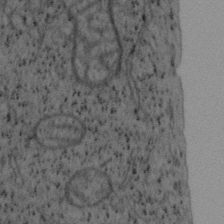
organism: Human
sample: HeLa cells